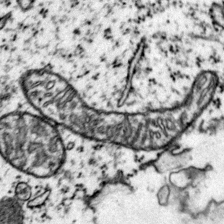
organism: Mouse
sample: Primary visual cortex